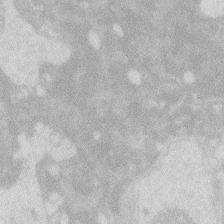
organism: Zebrafish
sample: Macrophage